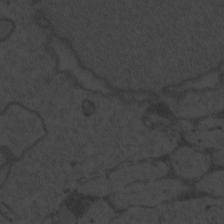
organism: Zebrafish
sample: Macrophage infected with Toxoplasma gondii